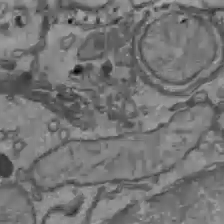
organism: C57BL Mouse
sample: Liver